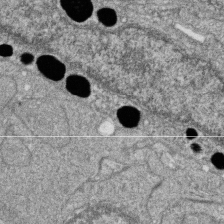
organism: Zebrafish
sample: Cilia; retinal pigment epithelium